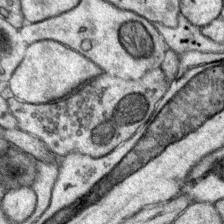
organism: Mouse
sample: Primary visual cortex